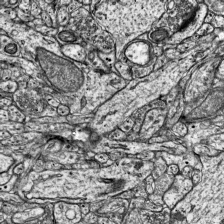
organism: Mouse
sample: Visual Cortex